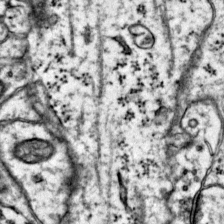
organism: Mouse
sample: Primary visual cortex